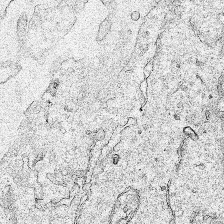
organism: Human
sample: Mitochondria in HCT116 cells